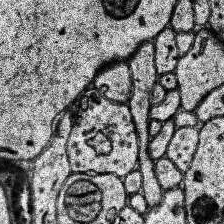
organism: Human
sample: Temporal Lobe